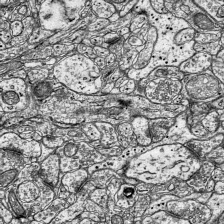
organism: Mouse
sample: Visual Cortex